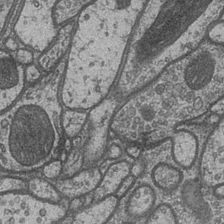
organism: Drosophila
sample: Optic medulla